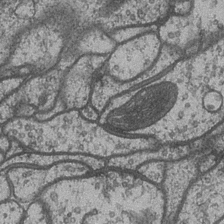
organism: Drosophila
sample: Optic medulla